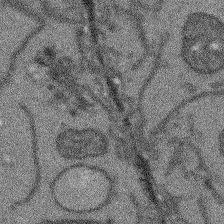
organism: Arabidopsis thaliana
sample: Root tip